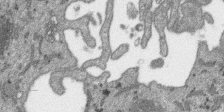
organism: Human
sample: Lung epithelial cells infected with SARS-CoV-2